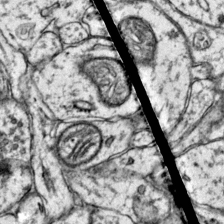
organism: Mouse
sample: Primary visual cortex